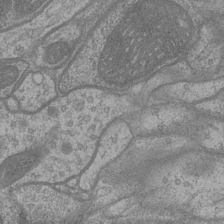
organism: Drosophila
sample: Optic medulla